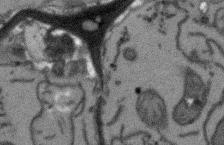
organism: Arabidopsis thaliana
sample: Root tip